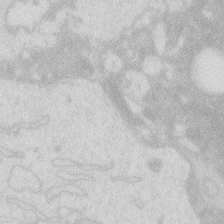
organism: Zebrafish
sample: Macrophage